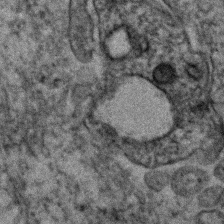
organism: Human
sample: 1205lu cells